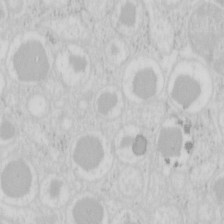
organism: Mouse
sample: Pancreas